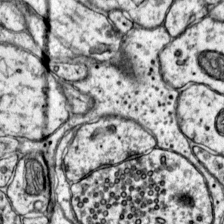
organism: Mouse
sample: Primary visual cortex